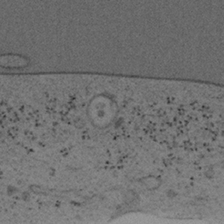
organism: Human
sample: HeLa cells